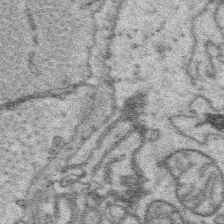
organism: Platynereis dumerilii